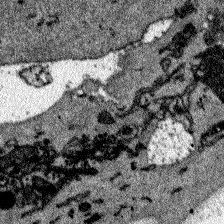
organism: Zebrafish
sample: Larval olfactory bulb